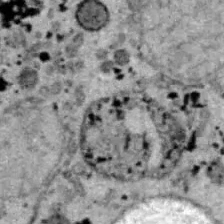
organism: Mouse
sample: Liver from an obese (ob/ob) mouse